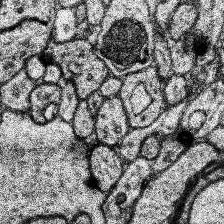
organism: Human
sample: Temporal Lobe